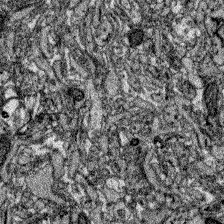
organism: Zebrafish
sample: Larval olfactory bulb